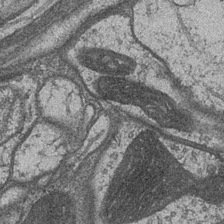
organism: Drosophila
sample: Optic medulla